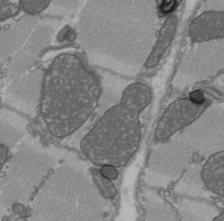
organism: C57BL Mouse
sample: Heart